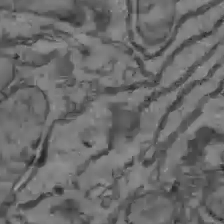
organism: C57BL Mouse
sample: Liver